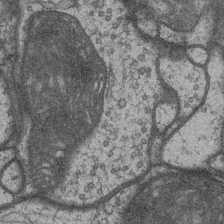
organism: Drosophila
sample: Optic medulla